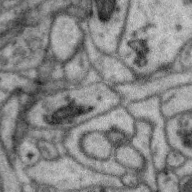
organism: Zebra finch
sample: Brain